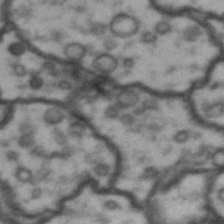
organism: Drosophila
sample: Brain